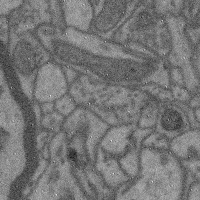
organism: Mouse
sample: Cerebral cortex